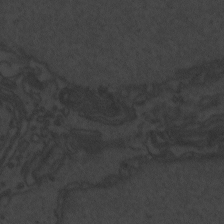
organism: Zebrafish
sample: Macrophage infected with Toxoplasma gondii